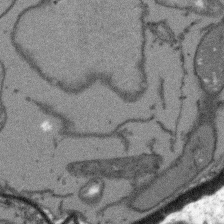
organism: Arabidopsis thaliana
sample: Root tip